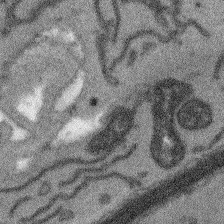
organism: Arabidopsis thaliana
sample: Root tip